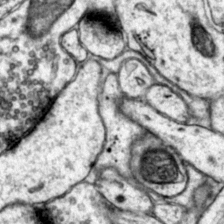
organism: Mouse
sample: Primary visual cortex